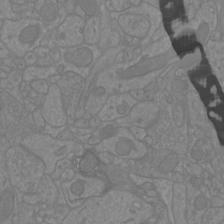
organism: Mouse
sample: Cortical neurons